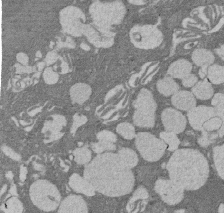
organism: Rat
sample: Salivary granule